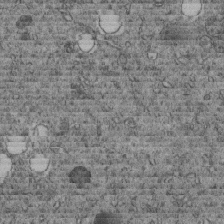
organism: C. elegans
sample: C. elegans embryo early stage